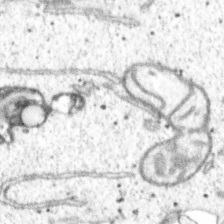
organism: Human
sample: HeLa cells